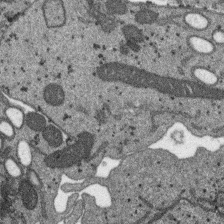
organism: Human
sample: Lung epithelial cells infected with SARS-CoV-2